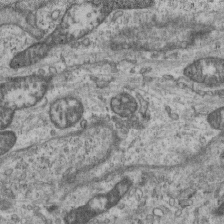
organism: Mouse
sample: Centriole in ependymal cells